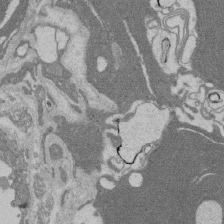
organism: Rat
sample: Salivary granule